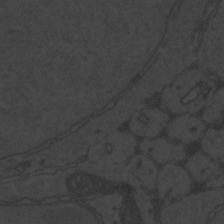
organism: Zebrafish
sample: Macrophage infected with Toxoplasma gondii